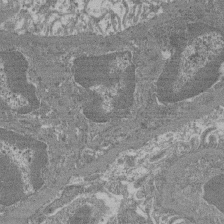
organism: Mouse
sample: Glomerulus